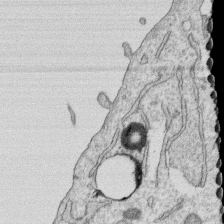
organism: Human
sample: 1205lu cells